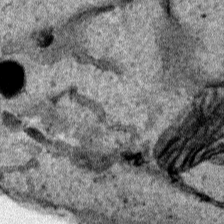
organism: Human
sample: Mitochondria in HCT116 cells